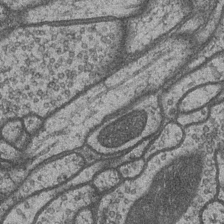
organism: Drosophila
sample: Optic medulla